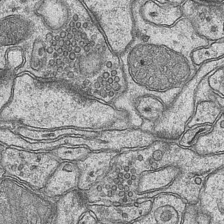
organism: Mouse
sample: CA1 Hippocampus